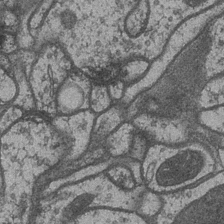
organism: Drosophila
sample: Optic medulla